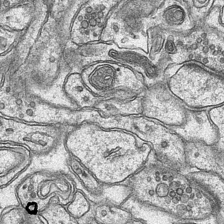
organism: Mouse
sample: CA1 Hippocampus